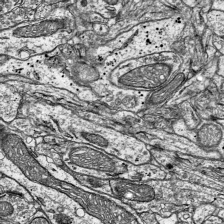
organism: Mouse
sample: Visual Cortex